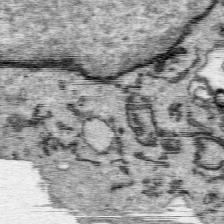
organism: Human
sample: HeLa cells